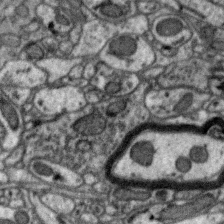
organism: Zebra finch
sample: Brain